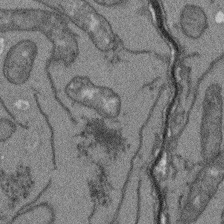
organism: Arabidopsis thaliana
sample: Root tip